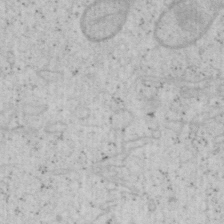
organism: Human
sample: HeLa cells